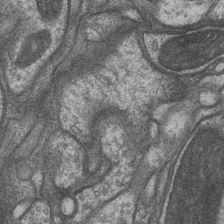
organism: Drosophila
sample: Optic medulla